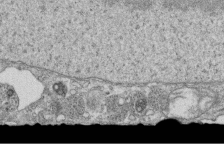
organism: Human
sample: HeLa cell HIV synapse